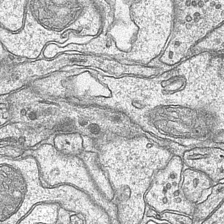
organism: Mouse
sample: CA1 Hippocampus